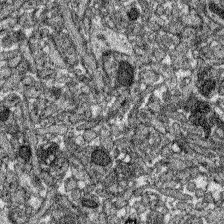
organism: Zebrafish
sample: Larval olfactory bulb